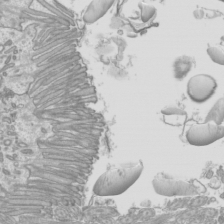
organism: Mouse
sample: Cilia; mouse epididymis